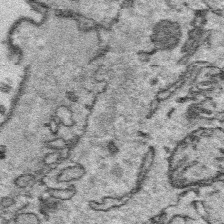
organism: Platynereis dumerilii